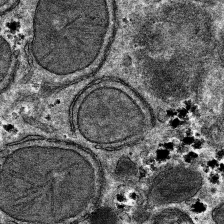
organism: Mouse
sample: Mouse hepatocytes